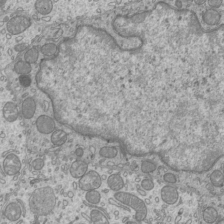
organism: Mouse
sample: Cilia; mouse epididymis